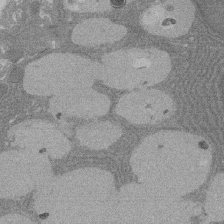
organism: Rat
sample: Salivary granule